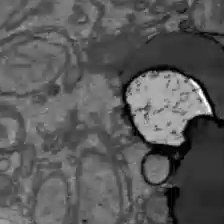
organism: C57BL Mouse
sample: Liver